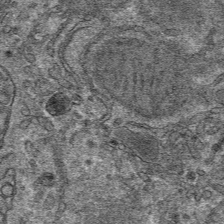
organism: Mouse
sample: Mouse hepatocytes